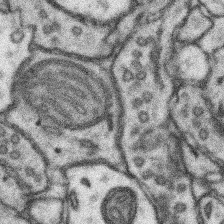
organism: Mouse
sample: Somatosensory cortex neuropil